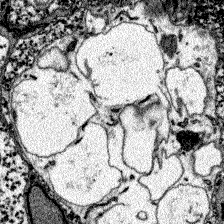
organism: Zebrafish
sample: Larval olfactory bulb